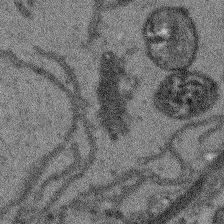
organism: Arabidopsis thaliana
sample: Root tip